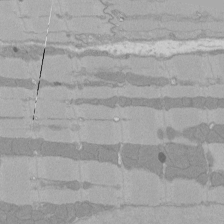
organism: Rat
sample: Left ventricle